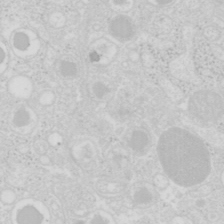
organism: Mouse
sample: Pancreas